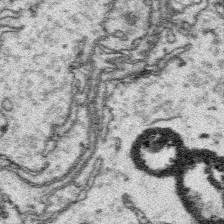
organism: Platynereis dumerilii